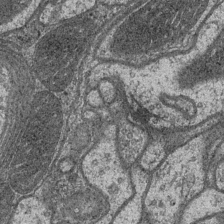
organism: Drosophila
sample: Optic medulla